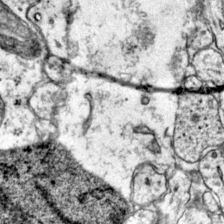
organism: Mouse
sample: Primary visual cortex